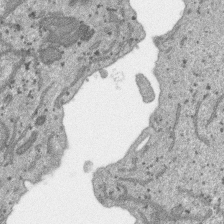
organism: Human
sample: Lung epithelial cells infected with SARS-CoV-2